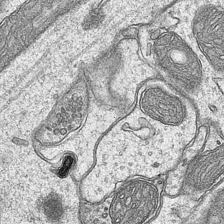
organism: Mouse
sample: CA1 Hippocampus